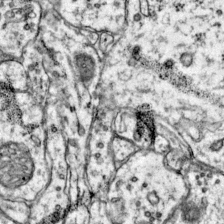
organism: Mouse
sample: Primary visual cortex